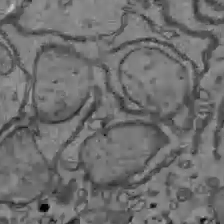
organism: C57BL Mouse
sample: Liver